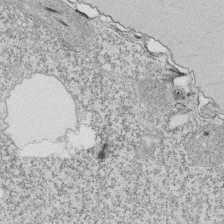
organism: Tetrahymena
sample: Cilia in tetrahymena